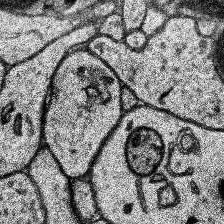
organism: Human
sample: Temporal Lobe